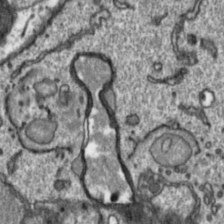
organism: Toxoplasma gondii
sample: Parasites in a vacuole inside a host cell